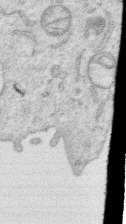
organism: Human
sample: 1205lu cells